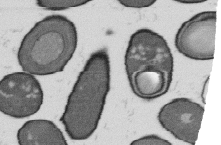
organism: B. subtilis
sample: Bacterial spore